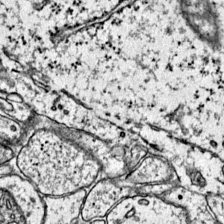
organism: Mouse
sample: Primary visual cortex